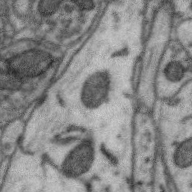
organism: Zebra finch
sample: Brain